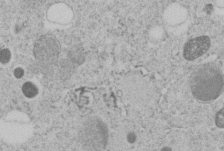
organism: C. elegans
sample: C. elegans embryo early stage